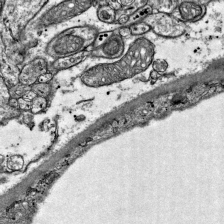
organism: Mouse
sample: Visual Cortex